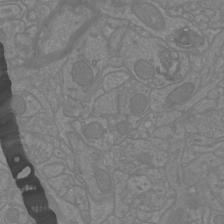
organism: Mouse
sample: Cortical neurons